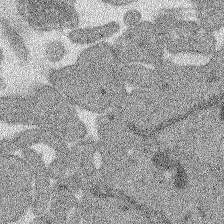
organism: Human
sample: HeLa cells